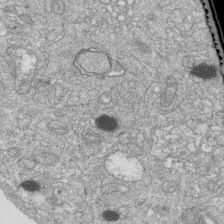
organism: Human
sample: HeLa cell HIV synapse